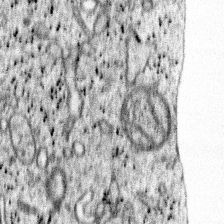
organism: Human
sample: HeLa cells